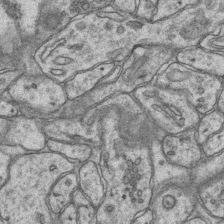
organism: Mouse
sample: CA1 Hippocampus